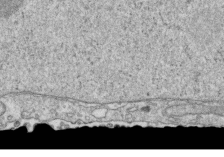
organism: Human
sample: HeLa cell HIV synapse